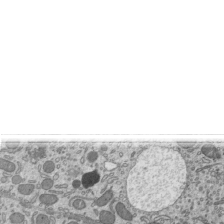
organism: Mouse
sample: Mouse epididymis efferent ductule cilia